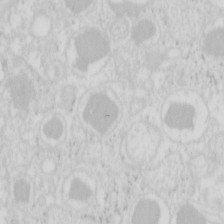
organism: Mouse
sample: Pancreas